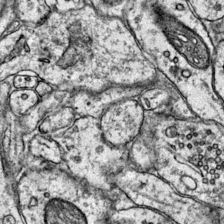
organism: Mouse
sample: Primary visual cortex